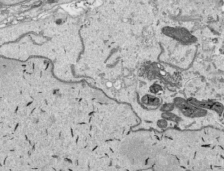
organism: Human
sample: Mitochondria in HCT116 cells